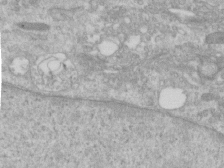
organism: Human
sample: Centriole in RPE cells